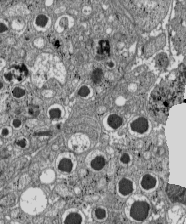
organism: C57BL Mouse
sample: Pancreatic islet